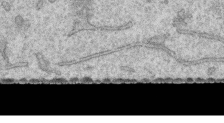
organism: Human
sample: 1205lu cells